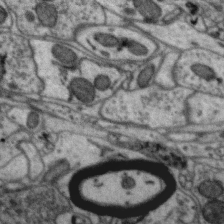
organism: Zebra finch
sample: Brain